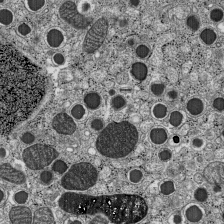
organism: C57BL Mouse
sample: Pancreatic islet